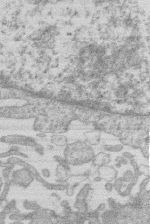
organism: Human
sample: Macrophage cells